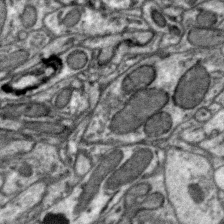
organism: Zebra finch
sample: Brain